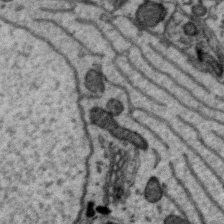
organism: Zebra finch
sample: Brain